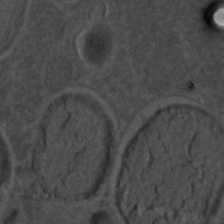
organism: C. elegans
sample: C. elegans embryo